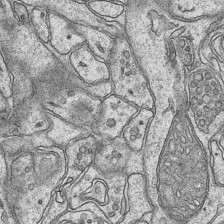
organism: Mouse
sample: CA1 Hippocampus